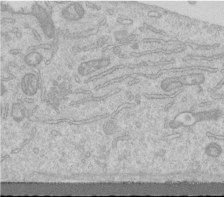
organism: Human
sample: Centriole in RPE cells